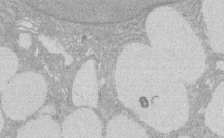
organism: Rat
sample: Salivary granule